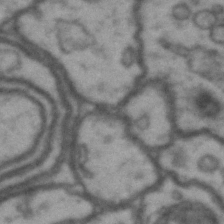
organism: Drosophila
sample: Brain